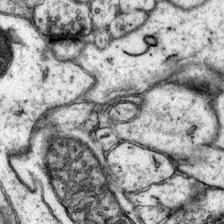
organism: Mouse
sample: Primary visual cortex